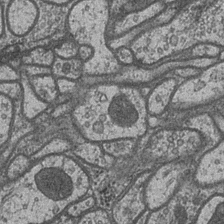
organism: Drosophila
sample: Optic medulla